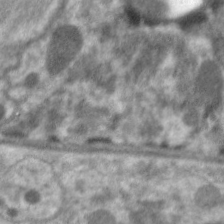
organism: C. elegans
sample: Pharynx